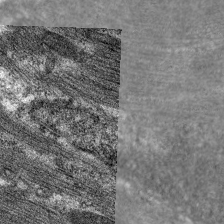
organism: C. elegans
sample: Pharynx